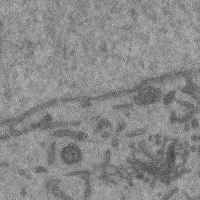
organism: Mouse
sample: Cerebral cortex